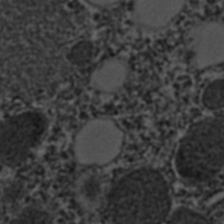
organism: C. elegans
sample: C. elegans embryo